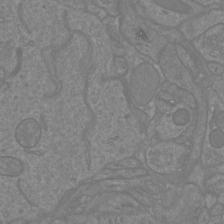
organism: Mouse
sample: Cortical neurons